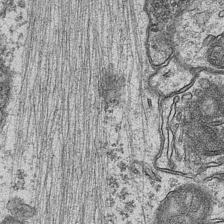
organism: Mouse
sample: CA1 Hippocampus